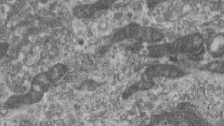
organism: Mouse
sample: Centriole in ependymal cells